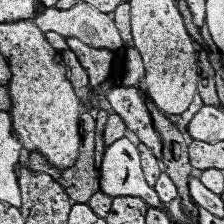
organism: Human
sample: Temporal Lobe